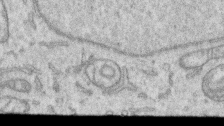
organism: Human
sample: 1205lu cells